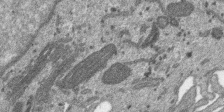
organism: Human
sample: Lung epithelial cells infected with SARS-CoV-2